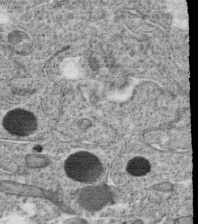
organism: C. elegans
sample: C. elegans oocyte; sperm cells